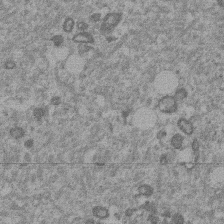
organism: Mouse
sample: Dividing mouse embryo 1 cell stage